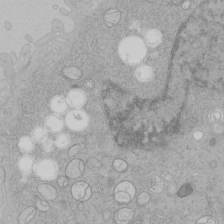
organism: Human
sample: Mitochondria in HCT116 cells